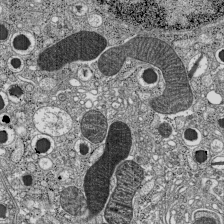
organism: C57BL Mouse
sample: Pancreatic islet